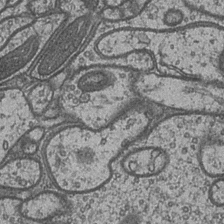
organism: Drosophila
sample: Optic medulla